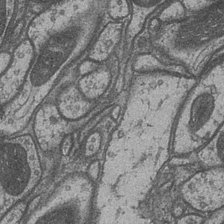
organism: Drosophila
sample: Optic medulla